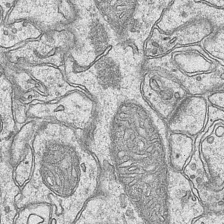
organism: Mouse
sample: CA1 Hippocampus